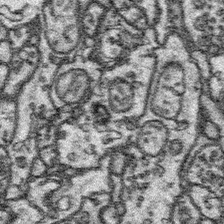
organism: Platynereis dumerilii